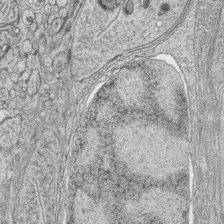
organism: Zebrafish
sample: synaptic ribbons in rod cells and cone cells